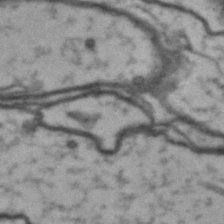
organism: Drosophila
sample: Brain